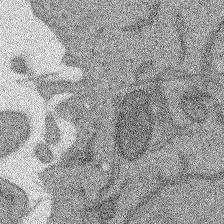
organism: Human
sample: HeLa cells